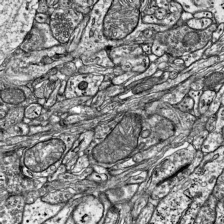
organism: Mouse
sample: Visual Cortex